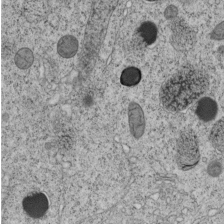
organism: C. elegans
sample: C. elegans embryo early stage